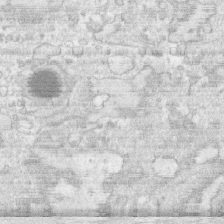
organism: Human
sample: CRL-1474